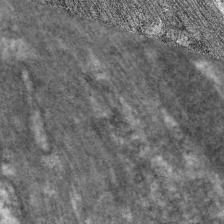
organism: C. elegans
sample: Pharynx